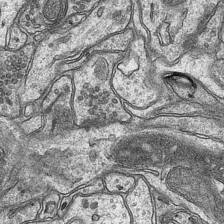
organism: Mouse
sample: CA1 Hippocampus